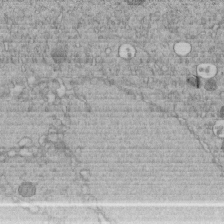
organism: C. elegans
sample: C. elegans embryo early stage